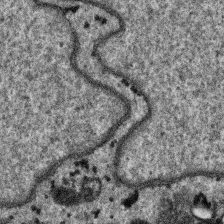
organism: Human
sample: Lung epithelial cells infected with SARS-CoV-2